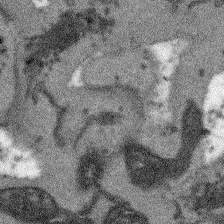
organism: Arabidopsis thaliana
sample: Root tip